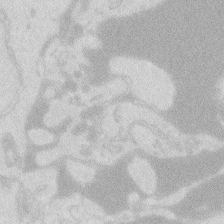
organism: Zebrafish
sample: Macrophage